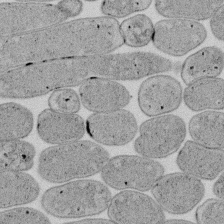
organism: E. coli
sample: Bacterial nucleoid